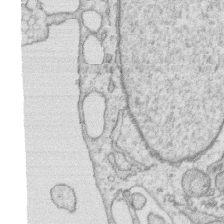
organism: Human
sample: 1205lu cells